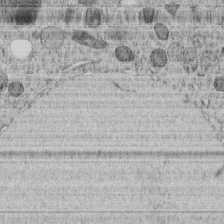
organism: C. elegans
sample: C. elegans embryo early stage